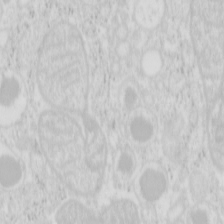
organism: Mouse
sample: Pancreas